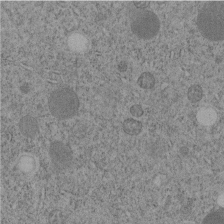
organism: C. elegans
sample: C. elegans embryo early stage